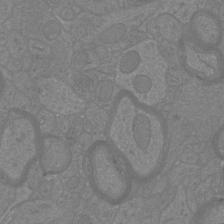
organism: Mouse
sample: Cortical neurons